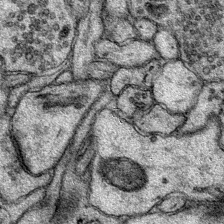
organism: Mouse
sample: Primary visual cortex